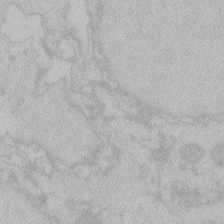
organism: Zebrafish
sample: Macrophage infected with Toxoplasma gondii